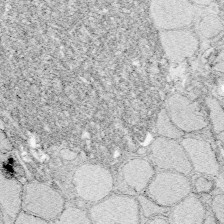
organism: Zebrafish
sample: Whole-Brain